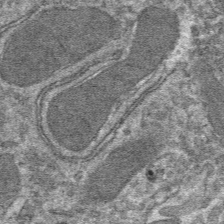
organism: Mouse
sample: Mouse hepatocytes